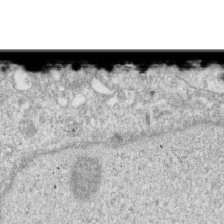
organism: Human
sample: HeLa cell HIV synapse